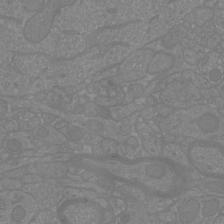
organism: Mouse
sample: Cortical neurons